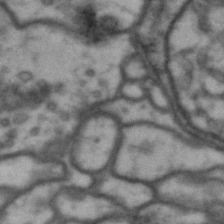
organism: Drosophila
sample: Brain